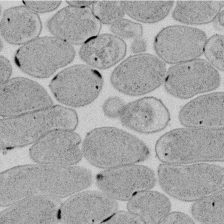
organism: E. coli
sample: Bacterial nucleoid